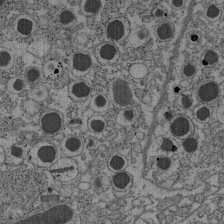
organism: C57BL Mouse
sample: Pancreatic islet